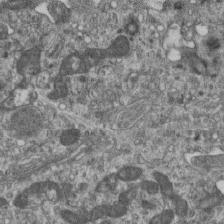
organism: Mouse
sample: Centriole in ependymal cells